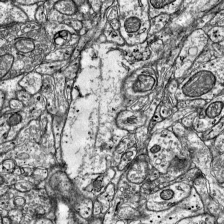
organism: Mouse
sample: Visual Cortex